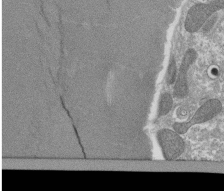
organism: Tetrahymena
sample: Cilia in tetrahymena